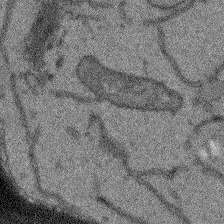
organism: Arabidopsis thaliana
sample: Root tip